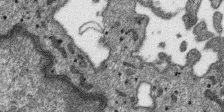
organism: Human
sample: Lung epithelial cells infected with SARS-CoV-2